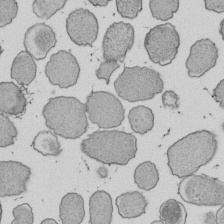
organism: E. coli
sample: Bacterial nucleoid